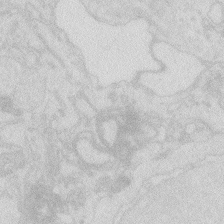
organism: Zebrafish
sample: Macrophage